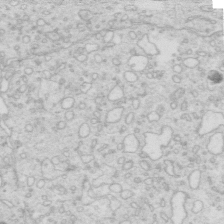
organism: Mouse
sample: Multiciliated cells